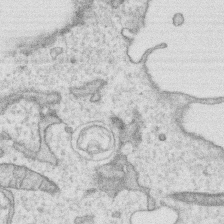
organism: Human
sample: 1205lu cells